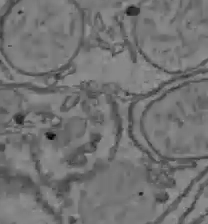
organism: C57BL Mouse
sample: Liver